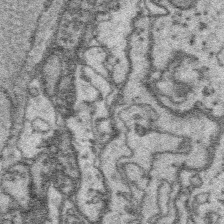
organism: Platynereis dumerilii